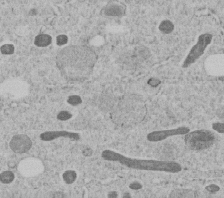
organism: C. elegans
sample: C. elegans embryo early stage